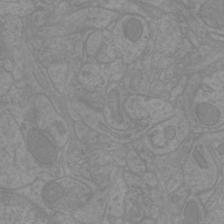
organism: Mouse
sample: Cortical neurons